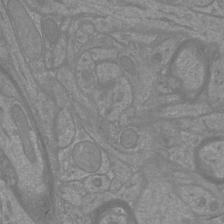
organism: Mouse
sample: Cortical neurons